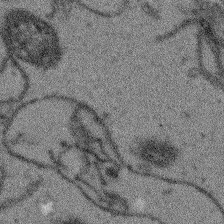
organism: Arabidopsis thaliana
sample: Root tip